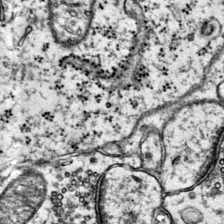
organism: Mouse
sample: Primary visual cortex